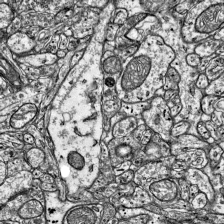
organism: Mouse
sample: Visual Cortex